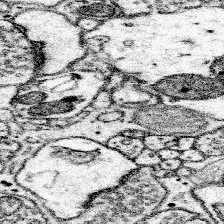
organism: Mouse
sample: Somatosensory cortex neuropil